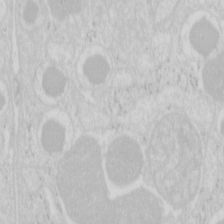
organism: Mouse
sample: Pancreas